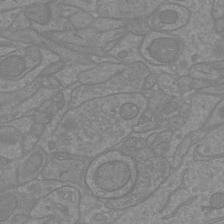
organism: Mouse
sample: Cortical neurons